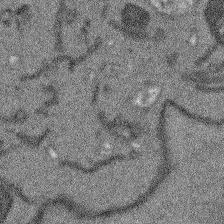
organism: Arabidopsis thaliana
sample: Root tip